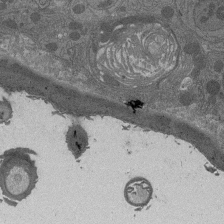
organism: Drosophila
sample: Antenna